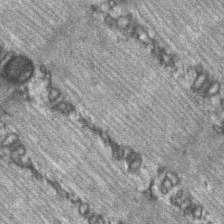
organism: C57BL Mouse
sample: Soleus